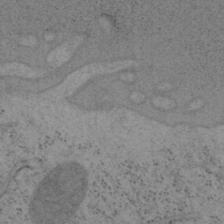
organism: Mouse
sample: OT-I killer T cells with ID8 ovarian cancer cells